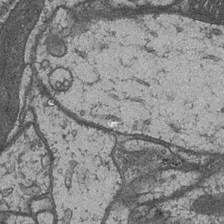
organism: Drosophila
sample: Optic medulla